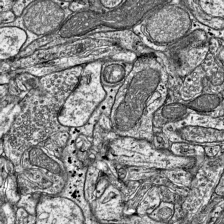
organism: Mouse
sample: Visual Cortex